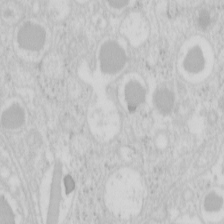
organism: Mouse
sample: Pancreas